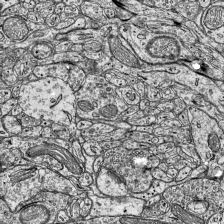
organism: Mouse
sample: Visual Cortex